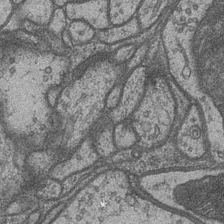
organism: Drosophila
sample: Optic medulla